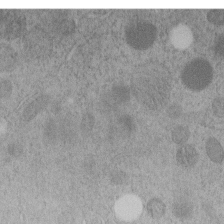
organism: C. elegans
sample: C. elegans embryo early stage